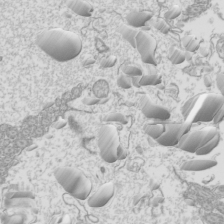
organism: Mouse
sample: Cilia; mouse epididymis